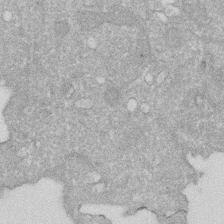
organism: Human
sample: HIV infected U937 cells